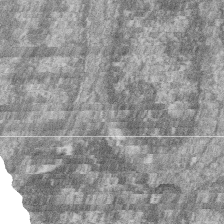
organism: Zebrafish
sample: Cilia; retinal pigment epithelium